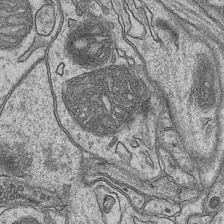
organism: Mouse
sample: CA1 Hippocampus